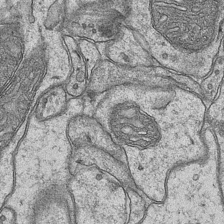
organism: Mouse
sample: CA1 Hippocampus